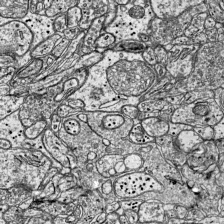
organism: Mouse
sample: Visual Cortex